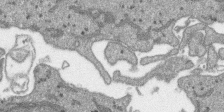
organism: Human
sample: Lung epithelial cells infected with SARS-CoV-2